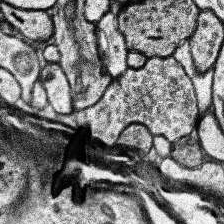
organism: Human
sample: Temporal Lobe